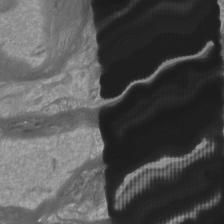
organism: Mouse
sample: Cortical neurons